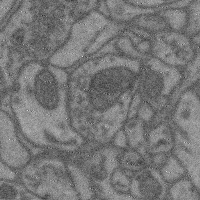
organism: Mouse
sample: Cerebral cortex